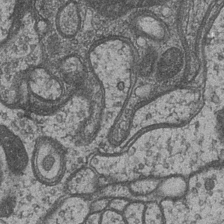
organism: Drosophila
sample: Optic medulla